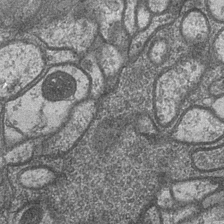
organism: Drosophila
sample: Optic medulla